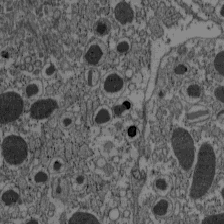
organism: C57BL Mouse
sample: Pancreatic islet